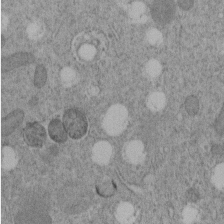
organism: C. elegans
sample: C. elegans embryo early stage